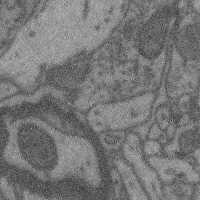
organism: Mouse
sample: Cerebral cortex